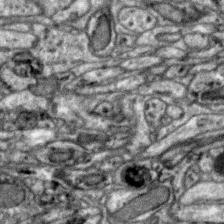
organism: Zebra finch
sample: Brain